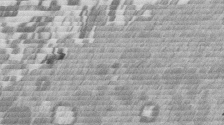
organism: Mouse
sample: Dividing mouse embryo 1 cell stage